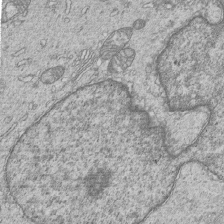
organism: Human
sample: MDA-MB-231 cells